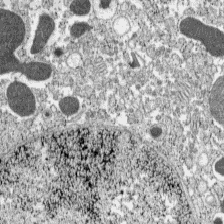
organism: C57BL Mouse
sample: Pancreatic islet